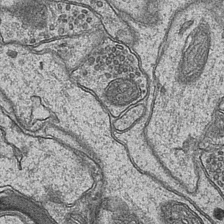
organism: Mouse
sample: CA1 Hippocampus